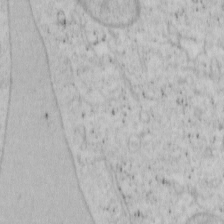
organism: Human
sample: HeLa cells